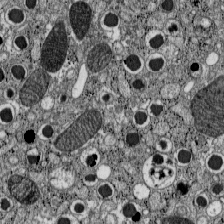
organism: C57BL Mouse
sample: Pancreatic islet